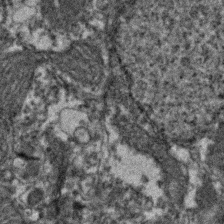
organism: Zebrafish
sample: Zebrafish embryo